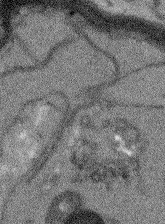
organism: Arabidopsis thaliana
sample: Root tip